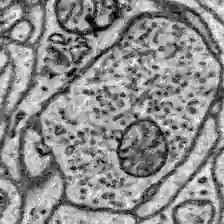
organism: Zebrafish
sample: Brain